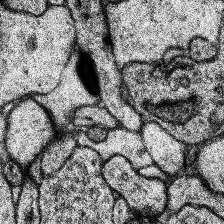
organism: Human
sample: Temporal Lobe